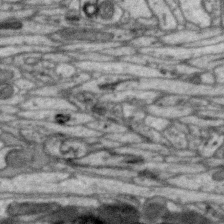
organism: Zebra finch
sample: Brain